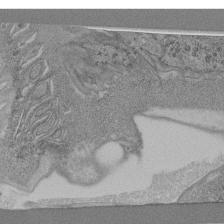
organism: C. elegans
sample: C. elegans pharynx